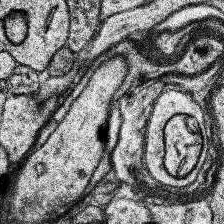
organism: Human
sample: Temporal Lobe